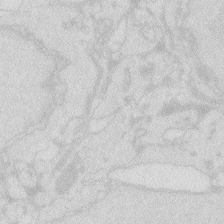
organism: Zebrafish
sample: Macrophage